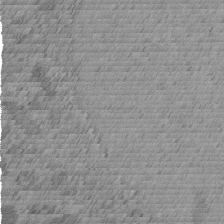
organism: C. elegans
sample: C. elegans embryo early stage